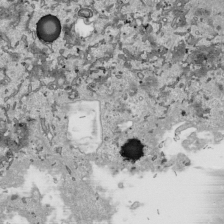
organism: Human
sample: Mitochondria in HCT116 cells